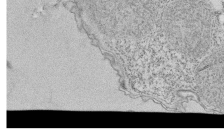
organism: Tetrahymena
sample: Cilia in tetrahymena